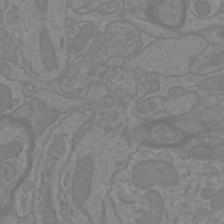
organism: Mouse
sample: Cortical neurons